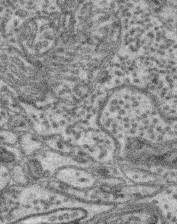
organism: Mouse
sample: Retina